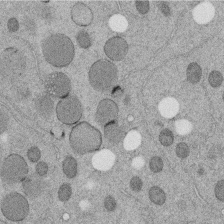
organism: C. elegans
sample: C. elegans embryo early stage